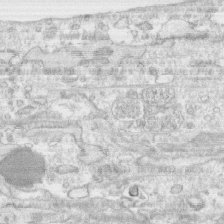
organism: Human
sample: CRL-1474